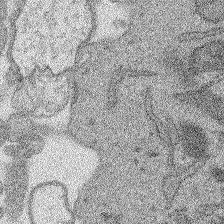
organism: Human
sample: HeLa cells